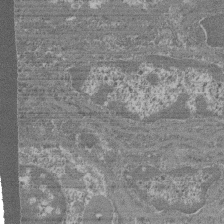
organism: Mouse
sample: Glomerulus